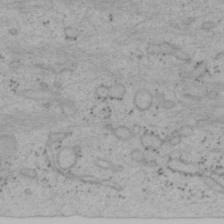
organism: Human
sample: HeLa cells